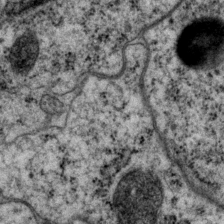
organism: P. pacificus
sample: Pharynx